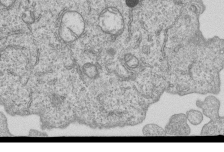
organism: Human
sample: MDA-MB-231 cells